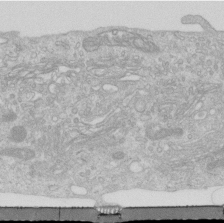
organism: Human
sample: Centriole in RPE cells